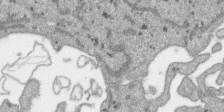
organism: Human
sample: Lung epithelial cells infected with SARS-CoV-2